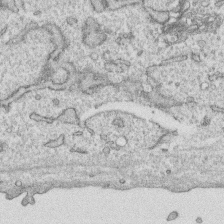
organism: Human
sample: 1205lu cells